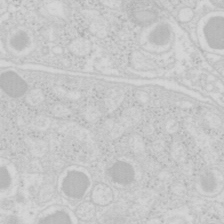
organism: Mouse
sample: Pancreas